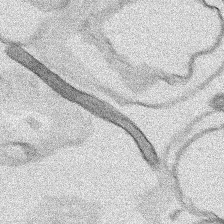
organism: Human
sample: Mitochondria in HCT116 cells